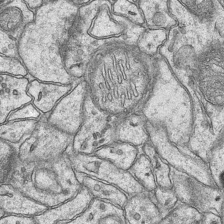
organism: Mouse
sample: CA1 Hippocampus